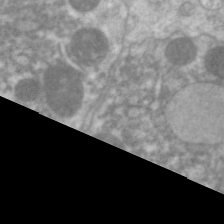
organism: C. elegans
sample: Pharynx